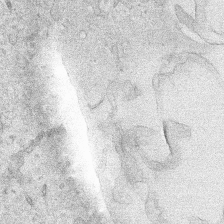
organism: Human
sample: Mitochondria in HCT116 cells